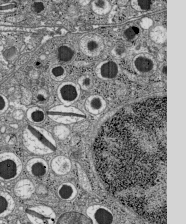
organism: C57BL Mouse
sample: Pancreatic islet